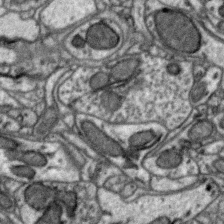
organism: Zebra finch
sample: Brain